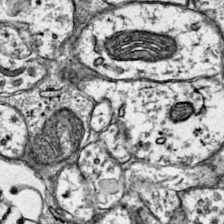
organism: Mouse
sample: Primary visual cortex